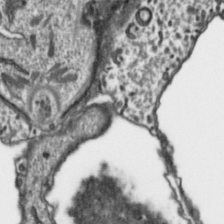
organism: Toxoplasma gondii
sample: Parasites in a vacuole inside a host cell